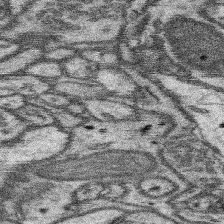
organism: Mouse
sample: Somatosensory cortex neuropil